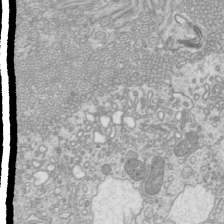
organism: Mouse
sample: Cilia; mouse epididymis